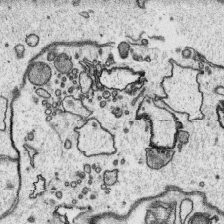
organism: Platynereis dumerilii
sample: Parapodia